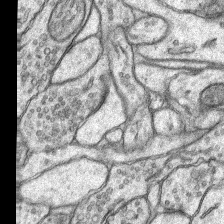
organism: Rat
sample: Hippocampus